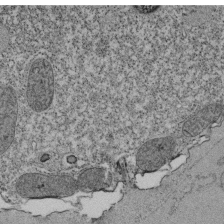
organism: Tetrahymena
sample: Cilia in tetrahymena